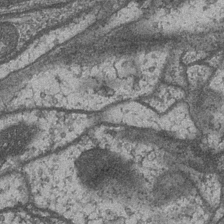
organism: Drosophila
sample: Optic medulla